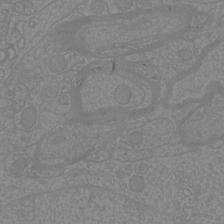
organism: Mouse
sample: Cortical neurons